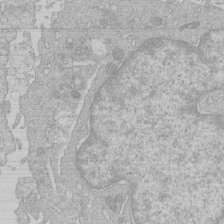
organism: Human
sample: Macrophage cells